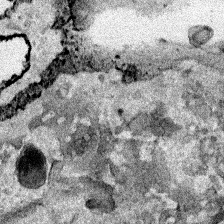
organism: Human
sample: Mitochondria in HCT116 cells